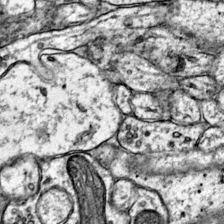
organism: Mouse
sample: Primary visual cortex